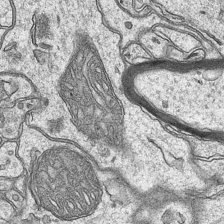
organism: Mouse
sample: CA1 Hippocampus